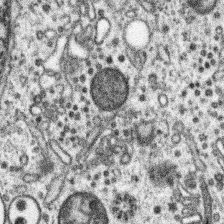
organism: Human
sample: HeLa cells